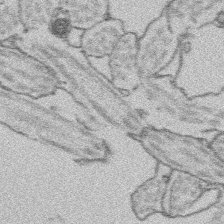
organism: Platynereis dumerilii